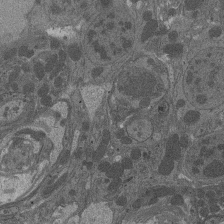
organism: Drosophila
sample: Antenna